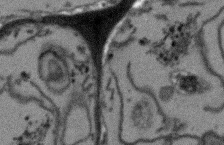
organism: Arabidopsis thaliana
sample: Root tip